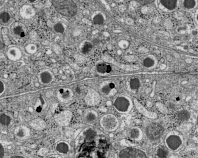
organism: C57BL Mouse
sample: Pancreatic islet